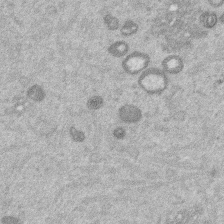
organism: Mouse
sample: Dividing mouse embryo 1 cell stage